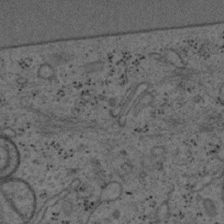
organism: Human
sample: HeLa cells